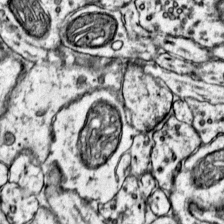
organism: Mouse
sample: Primary visual cortex